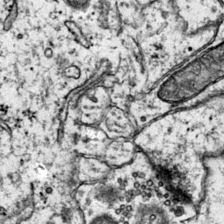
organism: Mouse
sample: Primary visual cortex